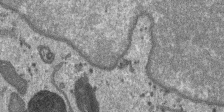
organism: Human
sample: Lung epithelial cells infected with SARS-CoV-2